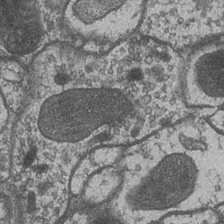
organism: Drosophila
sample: Optic medulla